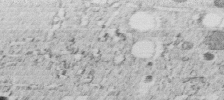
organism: C. elegans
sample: C. elegans embryo early stage